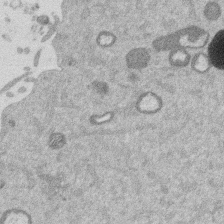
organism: Mouse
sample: Dividing mouse embryo 1 cell stage